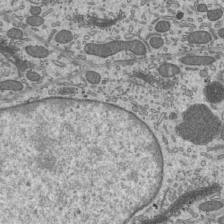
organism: Mouse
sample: Mouse epididymis efferent ductule cilia